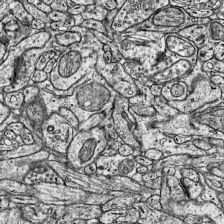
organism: Mouse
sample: Visual Cortex